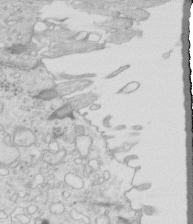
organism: Mouse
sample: Multiciliated cells